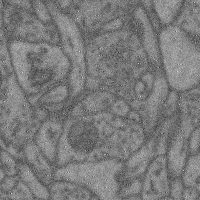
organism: Mouse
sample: Cerebral cortex